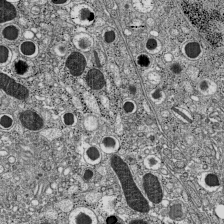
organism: C57BL Mouse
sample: Pancreatic islet